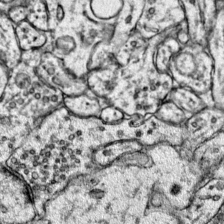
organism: Mouse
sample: Primary visual cortex